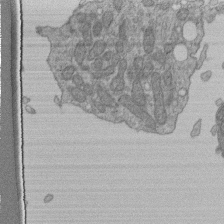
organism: Human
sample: Retinal organoid Rod and Cone cells